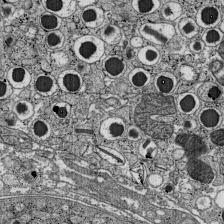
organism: C57BL Mouse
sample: Pancreatic islet